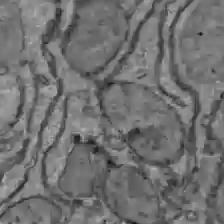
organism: C57BL Mouse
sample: Liver